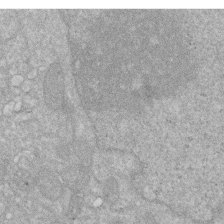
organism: Human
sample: HIV infected U937 cells